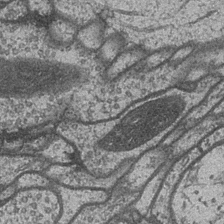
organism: Drosophila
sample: Optic medulla